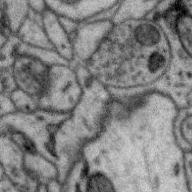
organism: Zebra finch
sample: Brain